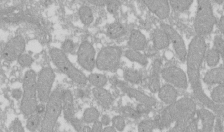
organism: Xenopus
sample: Cilia; centrioles in frog embryo cells